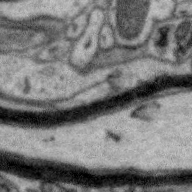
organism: Zebra finch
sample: Brain